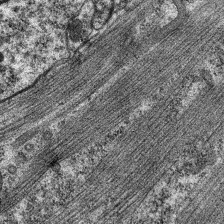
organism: C. elegans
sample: Pharynx